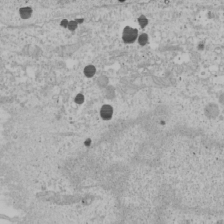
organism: Human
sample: Mitochondria in U2OS cells